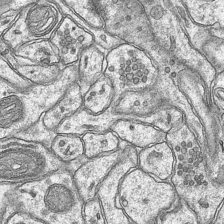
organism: Mouse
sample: CA1 Hippocampus